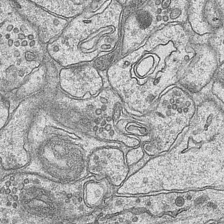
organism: Mouse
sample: CA1 Hippocampus